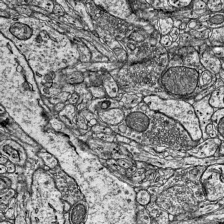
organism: Mouse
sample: Visual Cortex